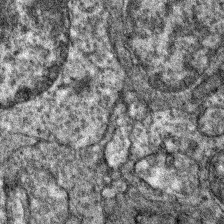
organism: Zebrafish